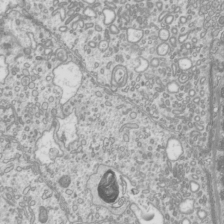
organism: Mouse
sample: Cilia; mouse epididymis